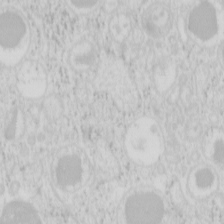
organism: Mouse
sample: Pancreas